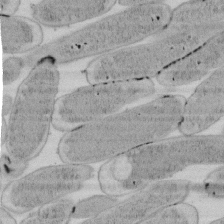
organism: E. coli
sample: Bacterial nucleoid